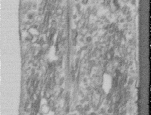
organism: Human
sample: Centriole in RPE cells